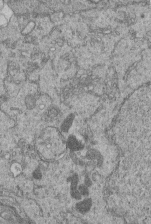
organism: Human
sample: Retinal organoid Rod and Cone cells